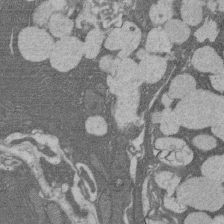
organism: Rat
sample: Salivary granule